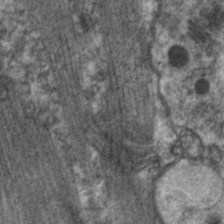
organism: C. elegans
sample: Pharynx